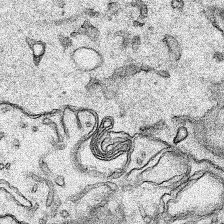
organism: Human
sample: Mitochondria in HCT116 cells